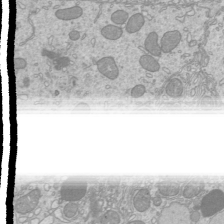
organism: Mouse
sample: Cilia; mouse epididymis